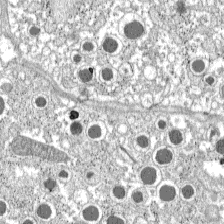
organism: C57BL Mouse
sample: Pancreatic islet